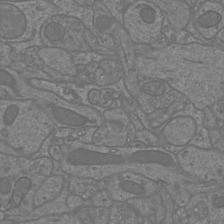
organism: Mouse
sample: Cortical neurons